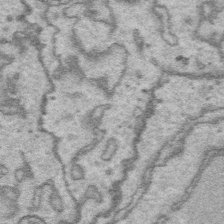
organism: Platynereis dumerilii